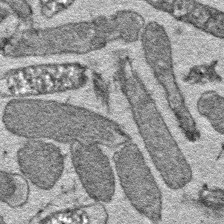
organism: E. coli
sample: E. Coli Bacteria